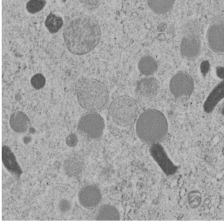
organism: C. elegans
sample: C. elegans embryo early stage